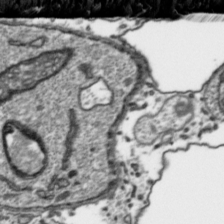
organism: Toxoplasma gondii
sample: Parasites in a vacuole inside a host cell